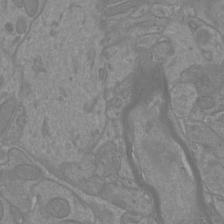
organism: Mouse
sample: Cortical neurons